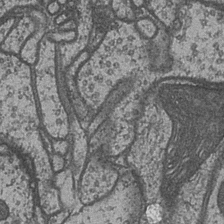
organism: Drosophila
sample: Optic medulla